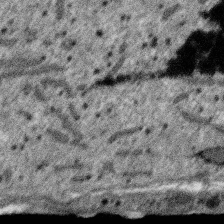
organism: Human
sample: Lung epithelial cells infected with SARS-CoV-2